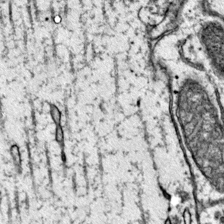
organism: Mouse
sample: Primary visual cortex